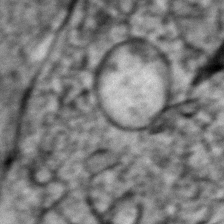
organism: Zebrafish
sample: Zebrafish embryo